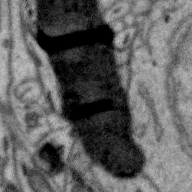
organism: Zebra finch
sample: Brain